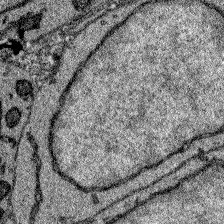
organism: Zebrafish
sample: Larval olfactory bulb